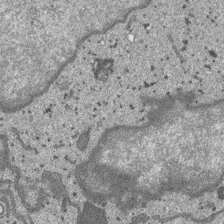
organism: Human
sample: Lung epithelial cells infected with SARS-CoV-2